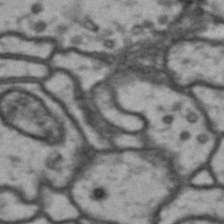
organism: Drosophila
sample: Brain